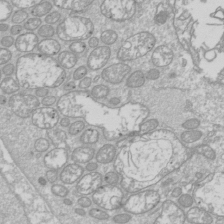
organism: Drosophila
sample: Cell division; meiosis; drosophila spermatocytes